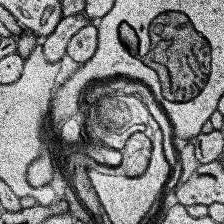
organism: Human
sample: Temporal Lobe